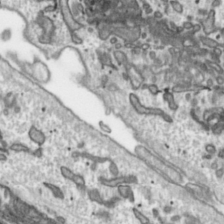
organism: Toxoplasma gondii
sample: Parasites in a vacuole inside a host cell